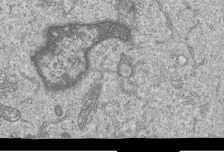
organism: Human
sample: MDA-MB-231 cells